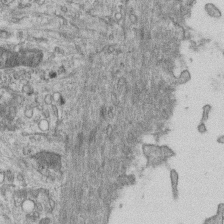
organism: Mouse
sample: Centriole in ependymal cells